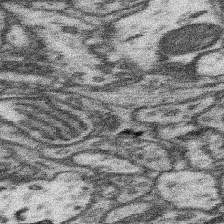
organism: Mouse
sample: Somatosensory cortex neuropil